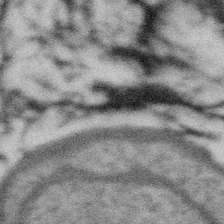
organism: Gemmata obscuriglobus